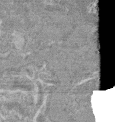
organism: Mouse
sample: Glomerulus